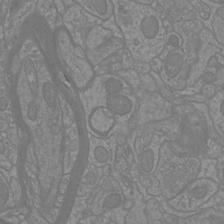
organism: Mouse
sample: Cortical neurons